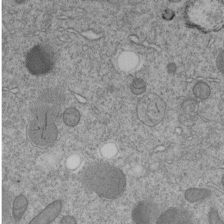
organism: C. elegans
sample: C. elegans embryo early stage